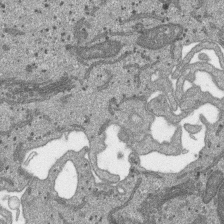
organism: Human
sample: Lung epithelial cells infected with SARS-CoV-2